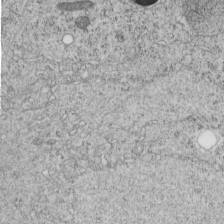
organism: C. elegans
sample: C. elegans embryo early stage